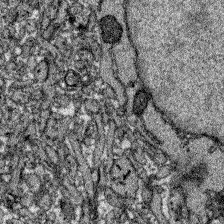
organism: Zebrafish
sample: Larval olfactory bulb